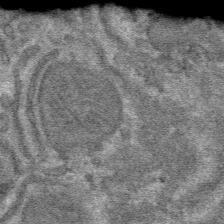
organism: Mouse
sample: Mouse hepatocytes